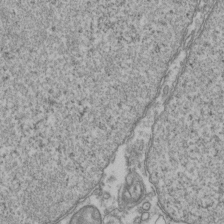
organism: Human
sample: Activated Jurkat CD4+ T cells